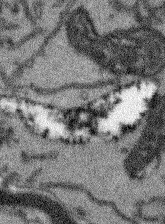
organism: Arabidopsis thaliana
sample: Root tip